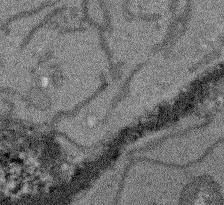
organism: Arabidopsis thaliana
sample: Root tip